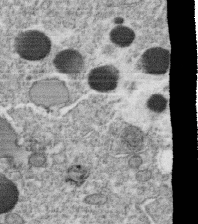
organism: C. elegans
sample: C. elegans oocyte; sperm cells